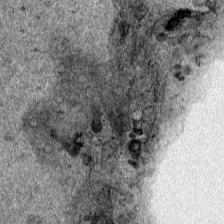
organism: Human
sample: Mitochondria in HCT116 cells